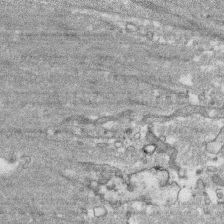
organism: Human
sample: CRL-1474